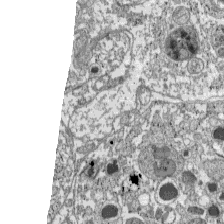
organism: C57BL Mouse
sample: Pancreatic islet